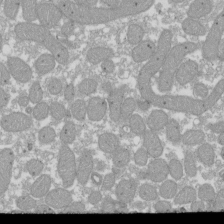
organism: Xenopus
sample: Cilia; centrioles in frog embryo cells